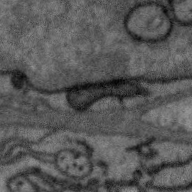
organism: Zebra finch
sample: Brain